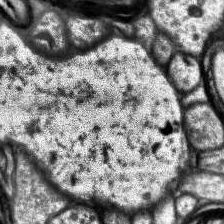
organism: Human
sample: Temporal Lobe